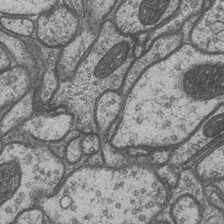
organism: Drosophila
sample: Optic medulla